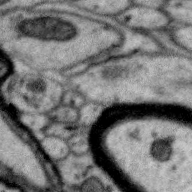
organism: Zebra finch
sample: Brain